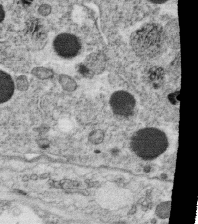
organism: C. elegans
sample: C. elegans oocyte; sperm cells